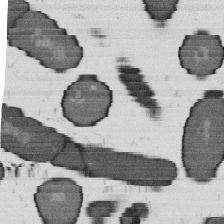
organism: B. subtilis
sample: Bacterial spore